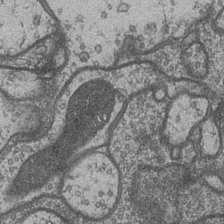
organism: Drosophila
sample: Optic medulla